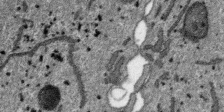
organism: Human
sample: Lung epithelial cells, uninfected (mock) control